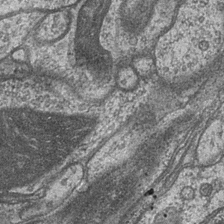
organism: Drosophila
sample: Optic medulla